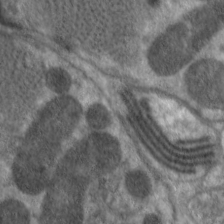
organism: C. elegans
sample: Pharynx